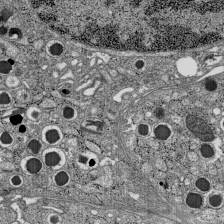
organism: C57BL Mouse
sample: Pancreatic islet